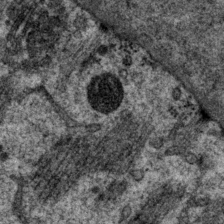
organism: P. pacificus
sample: Pharynx